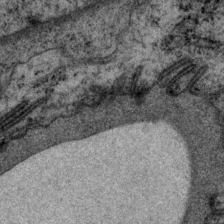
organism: P. pacificus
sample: Pharynx